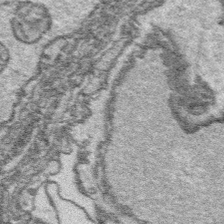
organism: Platynereis dumerilii